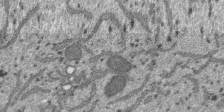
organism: Human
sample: Lung epithelial cells infected with SARS-CoV-2